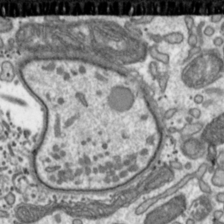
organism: Toxoplasma gondii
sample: Parasites in a vacuole inside a host cell